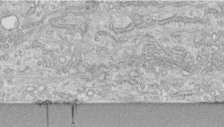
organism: Human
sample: Centriole in fibroblast cells